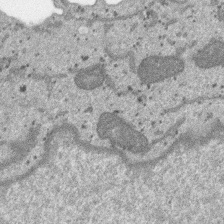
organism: Human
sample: Lung epithelial cells infected with SARS-CoV-2